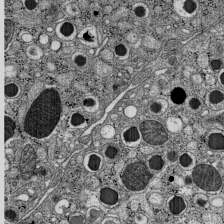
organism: C57BL Mouse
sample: Pancreatic islet